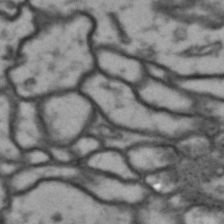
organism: Drosophila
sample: Brain